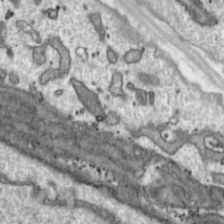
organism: Toxoplasma gondii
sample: Parasites in a vacuole inside a host cell